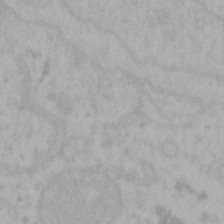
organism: Mouse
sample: Choroid plexus